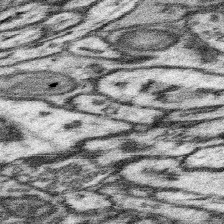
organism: Mouse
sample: Somatosensory cortex neuropil